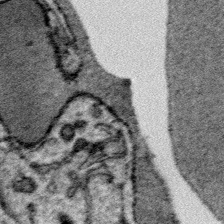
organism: Plasmodium falciparum